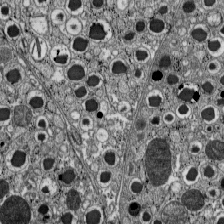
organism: C57BL Mouse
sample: Pancreatic islet